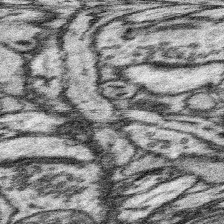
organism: Mouse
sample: Somatosensory cortex neuropil